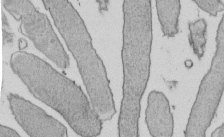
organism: E. coli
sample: Bacterial nucleoid